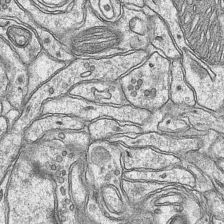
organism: Mouse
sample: CA1 Hippocampus